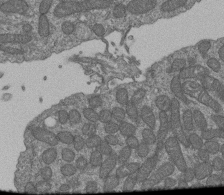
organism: Human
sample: Retinal organoid Rod and Cone cells